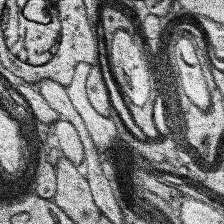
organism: Human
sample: Temporal Lobe